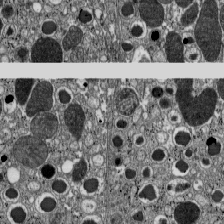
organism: C57BL Mouse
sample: Pancreatic islet